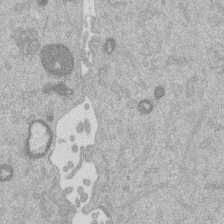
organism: Mouse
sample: Dividing mouse embryo 1 cell stage